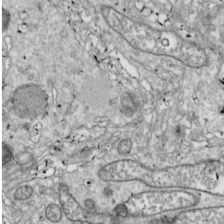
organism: Drosophila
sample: Cell division; meiosis; drosophila spermatocytes